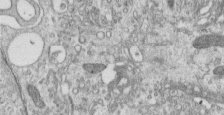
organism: Human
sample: Centriole in RPE cells